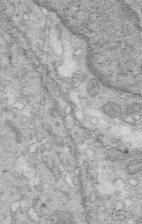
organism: Mouse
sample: Multiciliated cells